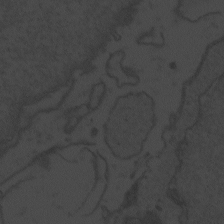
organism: Zebrafish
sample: Macrophage infected with Toxoplasma gondii